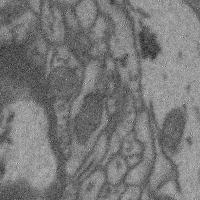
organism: Mouse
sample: Cerebral cortex